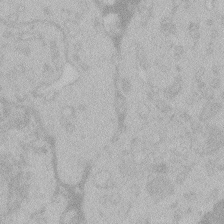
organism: Zebrafish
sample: Macrophage infected with Toxoplasma gondii